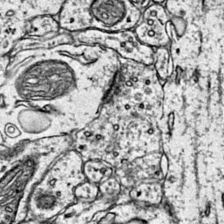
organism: Mouse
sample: Primary visual cortex